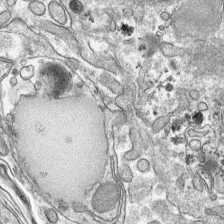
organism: Mouse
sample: Mouse hepatocytes